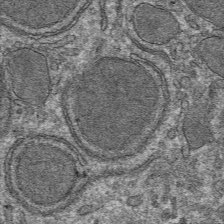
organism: Mouse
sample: Mouse hepatocytes